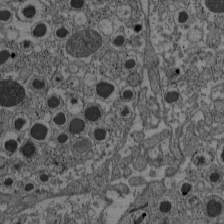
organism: C57BL Mouse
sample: Pancreatic islet